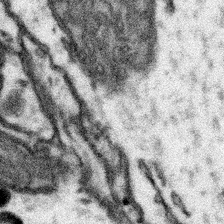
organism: Mouse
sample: Somatosensory cortex neuropil